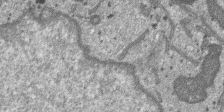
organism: Human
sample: Lung epithelial cells infected with SARS-CoV-2